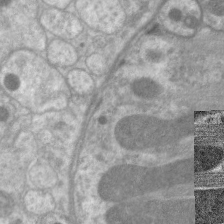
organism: C. elegans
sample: Pharynx